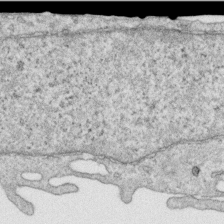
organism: Human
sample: Centriole in RPE cells